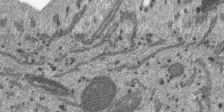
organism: Human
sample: Lung epithelial cells infected with SARS-CoV-2